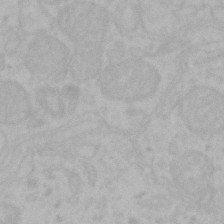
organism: Mouse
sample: Choroid plexus